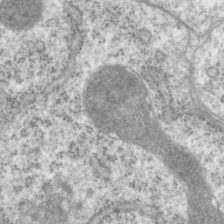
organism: P. pacificus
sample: Pharynx